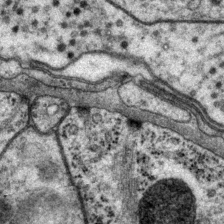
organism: P. pacificus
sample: Pharynx